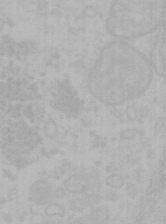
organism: Mouse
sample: Choroid plexus